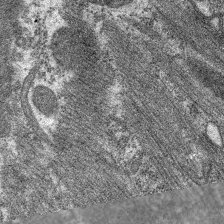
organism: C. elegans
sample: Pharynx